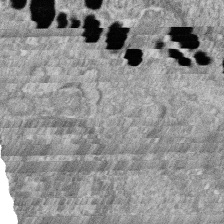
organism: Zebrafish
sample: Cilia; retinal pigment epithelium